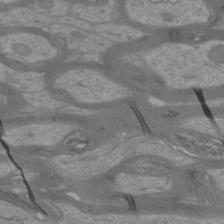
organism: Mouse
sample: Cortical neurons